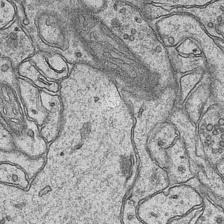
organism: Mouse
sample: CA1 Hippocampus